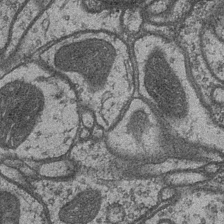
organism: Drosophila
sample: Optic medulla